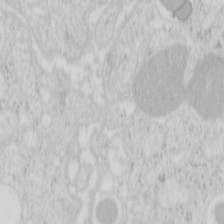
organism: Mouse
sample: Pancreas